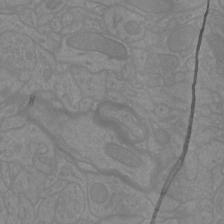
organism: Mouse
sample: Cortical neurons